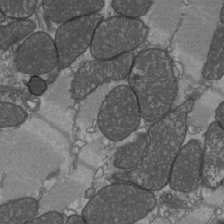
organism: C57BL Mouse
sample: Heart